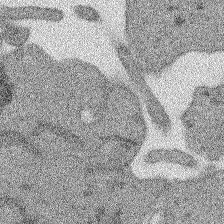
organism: Human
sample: HeLa cells